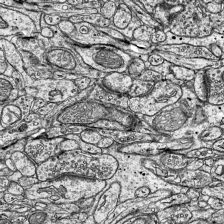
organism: Mouse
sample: Visual Cortex